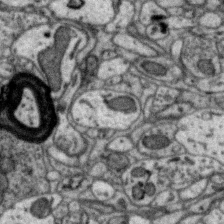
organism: Zebra finch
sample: Brain